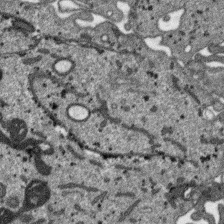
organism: Human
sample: Lung epithelial cells infected with SARS-CoV-2